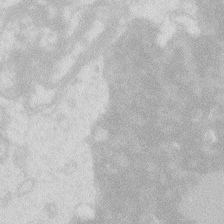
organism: Zebrafish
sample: Macrophage